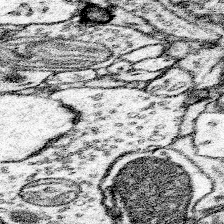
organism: Mouse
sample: Somatosensory cortex neuropil